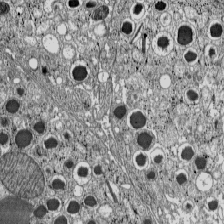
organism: C57BL Mouse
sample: Pancreatic islet